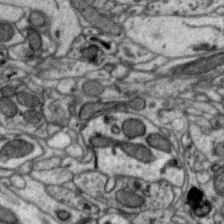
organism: Zebra finch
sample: Brain